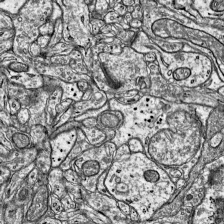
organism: Mouse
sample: Visual Cortex